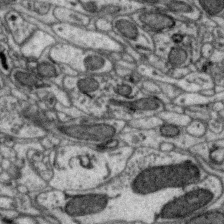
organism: Zebra finch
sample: Brain